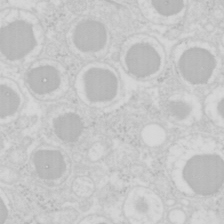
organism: Mouse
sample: Pancreas